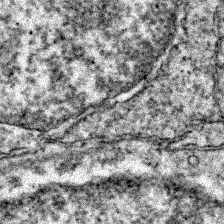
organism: Zebrafish